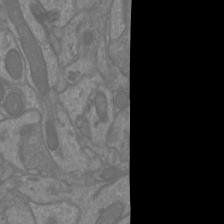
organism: Mouse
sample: Cortical neurons